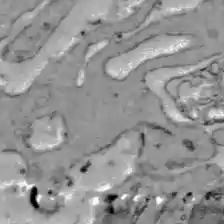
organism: C57BL Mouse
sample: Liver